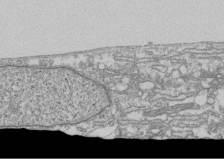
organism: Human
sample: Fibroblast cells